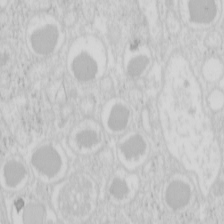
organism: Mouse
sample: Pancreas